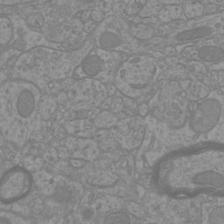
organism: Mouse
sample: Cortical neurons